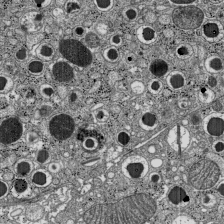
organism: C57BL Mouse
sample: Pancreatic islet